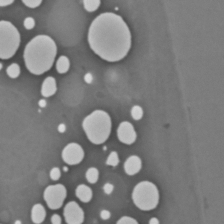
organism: C. elegans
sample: C. elegans embryo